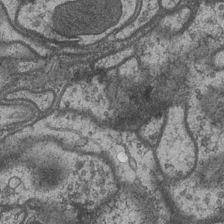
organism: Drosophila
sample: Optic medulla